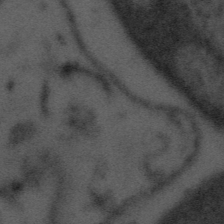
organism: Tuwongella immobilis